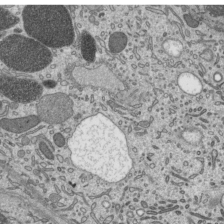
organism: Mouse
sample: Mouse epididymis efferent ductule cilia